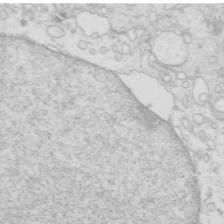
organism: Mouse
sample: Multiciliated cells